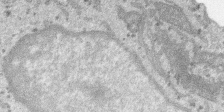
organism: Human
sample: Lung epithelial cells infected with SARS-CoV-2